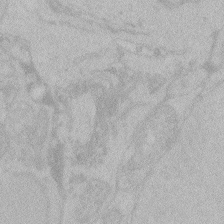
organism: Zebrafish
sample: Macrophage infected with Toxoplasma gondii